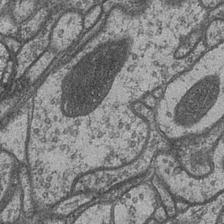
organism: Drosophila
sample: Optic medulla